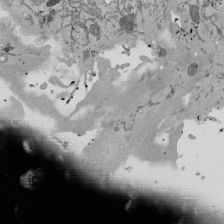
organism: Mouse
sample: ED-1 cell nuclei; centrioles